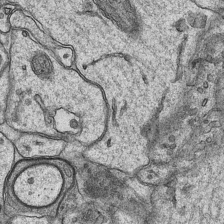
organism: Mouse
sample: CA1 Hippocampus